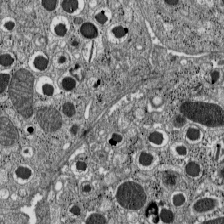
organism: C57BL Mouse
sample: Pancreatic islet